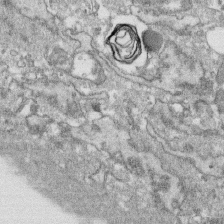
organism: Human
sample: CRL-1474